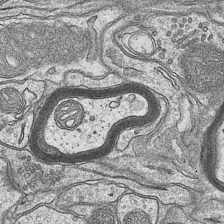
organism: Mouse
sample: CA1 Hippocampus